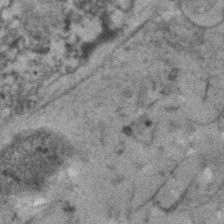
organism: Human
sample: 1205lu cells